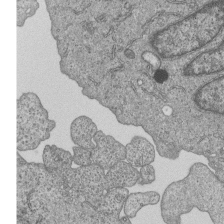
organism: Human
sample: MDA-MB-231 cells